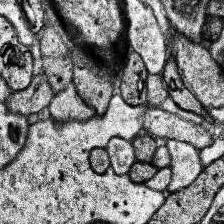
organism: Human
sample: Temporal Lobe